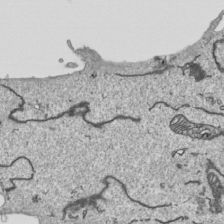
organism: Human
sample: Mitochondria in HCT116 cells